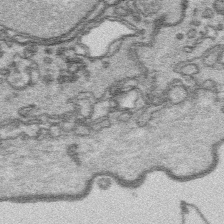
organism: Platynereis dumerilii